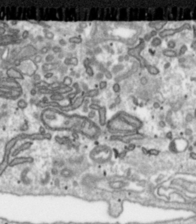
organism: Toxoplasma gondii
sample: Parasites in a vacuole inside a host cell